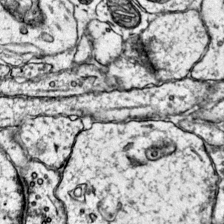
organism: Mouse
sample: Primary visual cortex